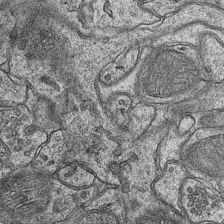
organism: Mouse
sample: CA1 Hippocampus